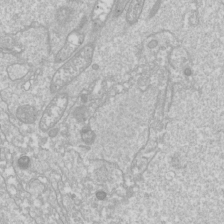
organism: Drosophila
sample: Cell division; meiosis; drosophila spermatocytes